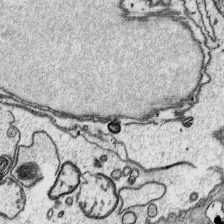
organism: Platynereis dumerilii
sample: Parapodia